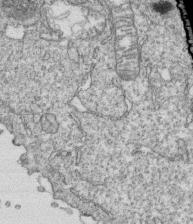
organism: Human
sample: HeLa cell HIV synapse